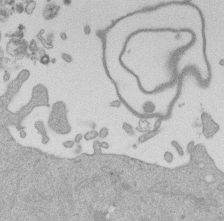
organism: Mouse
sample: Dividing mouse embryo 1 cell stage